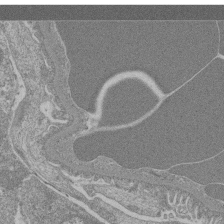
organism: Mouse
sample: Glomerulus